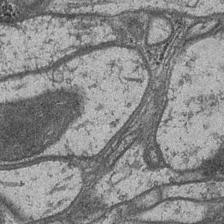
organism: Drosophila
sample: Optic medulla